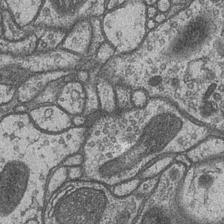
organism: Drosophila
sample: Optic medulla